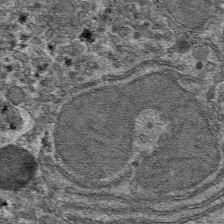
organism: Mouse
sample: Mouse hepatocytes